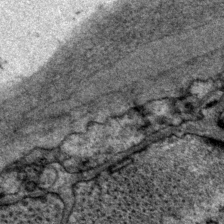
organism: P. pacificus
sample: Pharynx